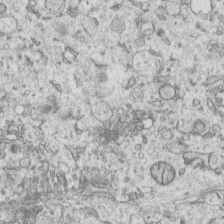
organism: Human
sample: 1205lu cells